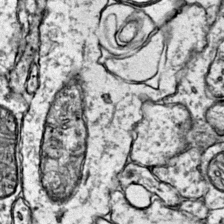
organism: Mouse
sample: Primary visual cortex